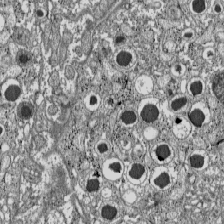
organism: C57BL Mouse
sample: Pancreatic islet